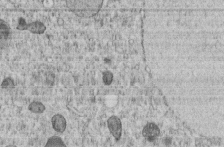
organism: C. elegans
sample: C. elegans embryo early stage